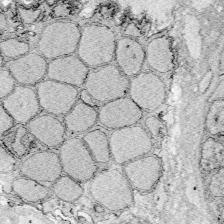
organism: Zebrafish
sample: Whole-Brain